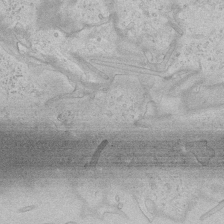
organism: Human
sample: Mitochondria in HCT116 cells